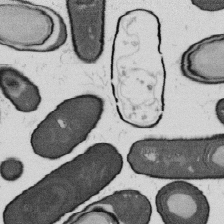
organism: B. subtilis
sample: Bacterial spore